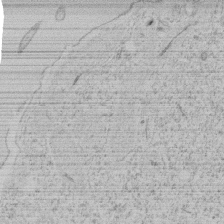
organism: Tetrahymena